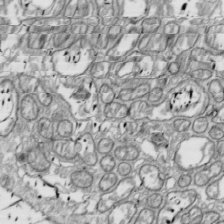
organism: Drosophila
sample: Cell division; meiosis; drosophila spermatocytes